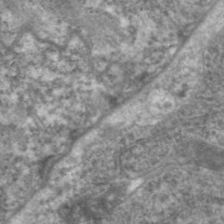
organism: C. elegans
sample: Pharynx